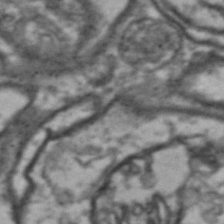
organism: Drosophila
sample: Brain